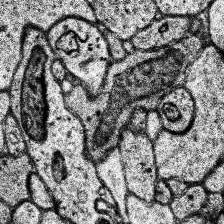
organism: Human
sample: Temporal Lobe